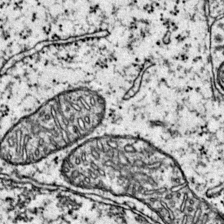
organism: Mouse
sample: Primary visual cortex